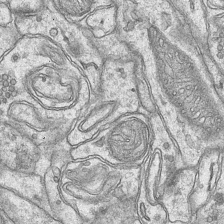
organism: Mouse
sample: CA1 Hippocampus